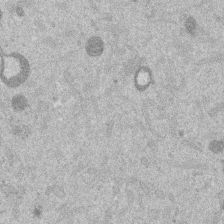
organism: Mouse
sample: Dividing mouse embryo 1 cell stage